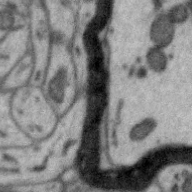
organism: Zebra finch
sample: Brain